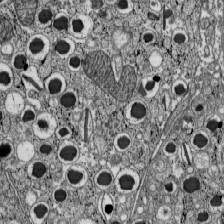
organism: C57BL Mouse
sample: Pancreatic islet